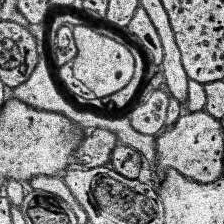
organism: Human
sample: Temporal Lobe